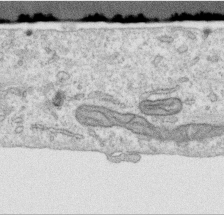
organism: Human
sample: Centriole in RPE cells